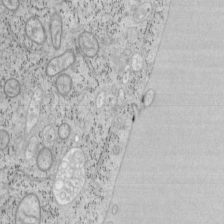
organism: Mouse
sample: OT-I killer T cells with ID8 ovarian cancer cells